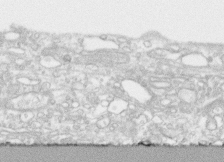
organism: Human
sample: CRL-1474